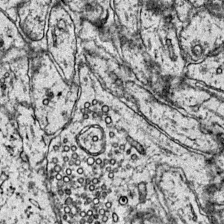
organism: Mouse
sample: Primary visual cortex